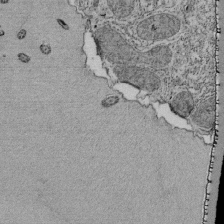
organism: Tetrahymena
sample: Cilia in tetrahymena